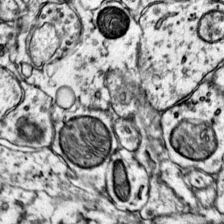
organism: Mouse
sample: Primary visual cortex